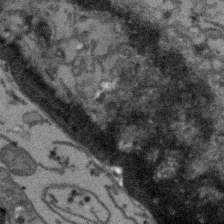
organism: Arabidopsis thaliana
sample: Root tip